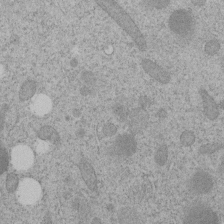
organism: C. elegans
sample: C. elegans embryo early stage